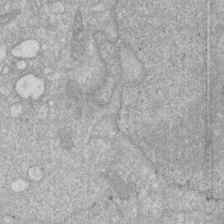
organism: Human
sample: HIV infected U937 cells